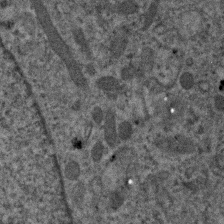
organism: Human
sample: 1205lu cells